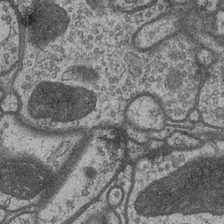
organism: Drosophila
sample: Optic medulla